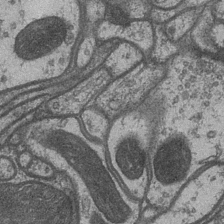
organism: Drosophila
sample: Optic medulla